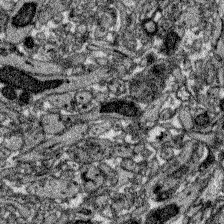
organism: Zebrafish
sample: Larval olfactory bulb